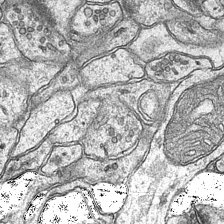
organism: Mouse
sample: CA1 Hippocampus